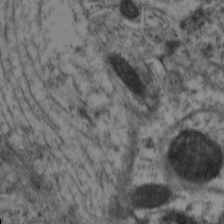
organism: Mouse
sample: Neocortex